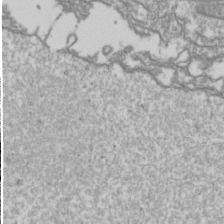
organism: Drosophila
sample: Cell division; meiosis; drosophila spermatocytes